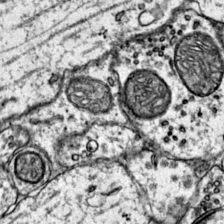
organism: Mouse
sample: Primary visual cortex